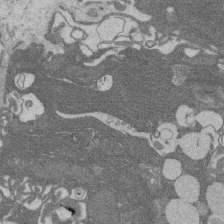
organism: Rat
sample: Salivary granule